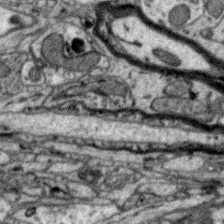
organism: Zebra finch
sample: Brain